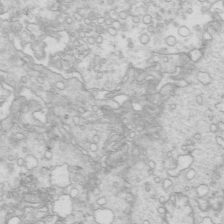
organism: Mouse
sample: Multiciliated cells